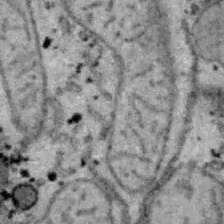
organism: Mouse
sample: Liver from an obese (ob/ob) mouse